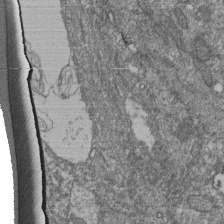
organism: Human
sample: Retinal organoid Rod and Cone cells